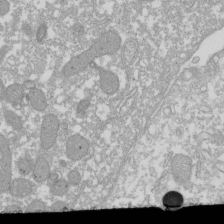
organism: Xenopus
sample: Cilia; centrioles in frog embryo cells